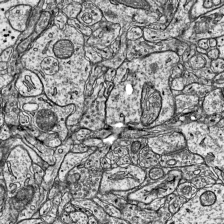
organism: Mouse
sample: Visual Cortex